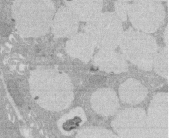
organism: Rat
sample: Salivary granule